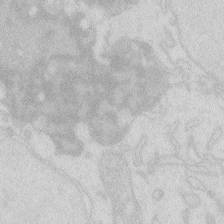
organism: Zebrafish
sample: Macrophage